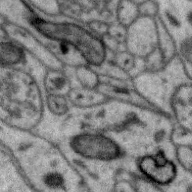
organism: Zebra finch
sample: Brain